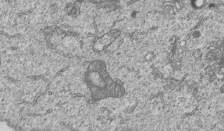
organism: Human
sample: MDA-MB-231 cells